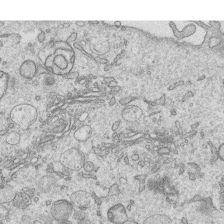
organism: Human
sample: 1205lu cells